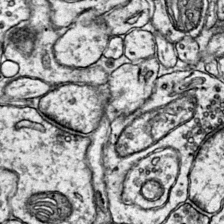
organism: Mouse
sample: Primary visual cortex